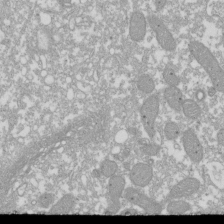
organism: Xenopus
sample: Cilia; centrioles in frog embryo cells